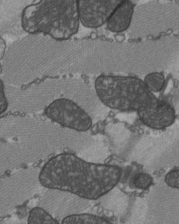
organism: C57BL Mouse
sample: Heart